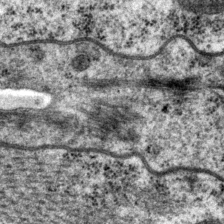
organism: P. pacificus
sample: Pharynx